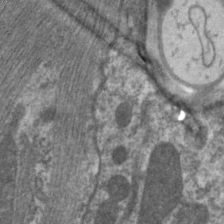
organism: C. elegans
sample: Pharynx